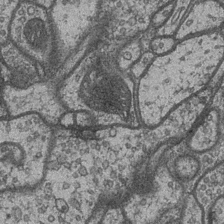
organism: Drosophila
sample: Optic medulla